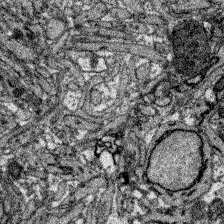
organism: Zebrafish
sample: Larval olfactory bulb